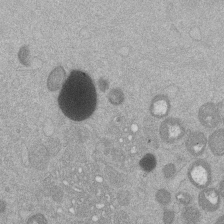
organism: Mouse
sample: Dividing mouse embryo 1 cell stage